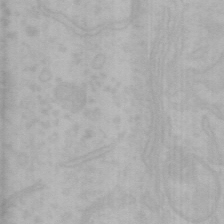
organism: Mouse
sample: Choroid plexus